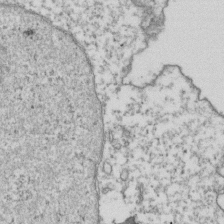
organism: Human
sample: Activated Jurkat CD4+ T cells